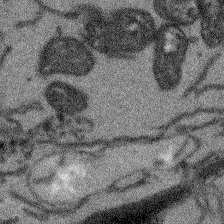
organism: Arabidopsis thaliana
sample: Root tip